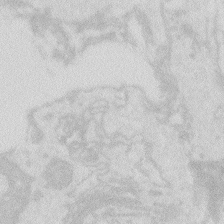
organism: Zebrafish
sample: Macrophage